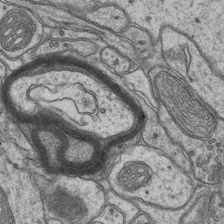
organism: Mouse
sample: CA1 Hippocampus